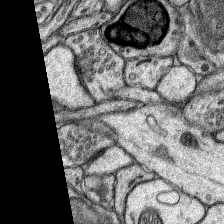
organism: Rat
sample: Hippocampus